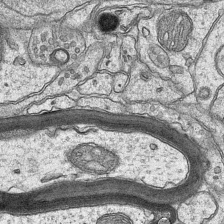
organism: Mouse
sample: CA1 Hippocampus